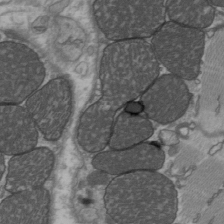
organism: C57BL Mouse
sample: Heart